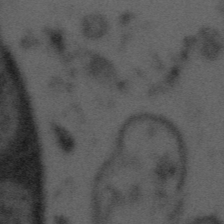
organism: Tuwongella immobilis